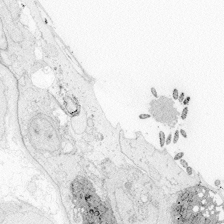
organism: Zebrafish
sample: Whole-Brain